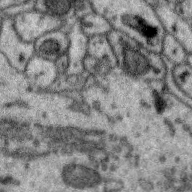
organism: Zebra finch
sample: Brain